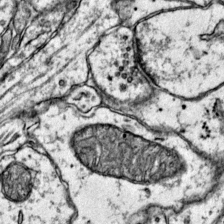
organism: Mouse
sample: Primary visual cortex